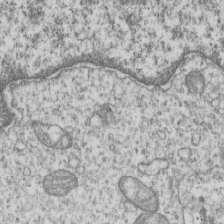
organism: Human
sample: MDA-MB-231 cells